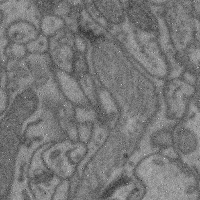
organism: Mouse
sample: Cerebral cortex